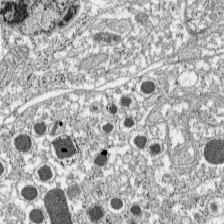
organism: C57BL Mouse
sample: Pancreatic islet